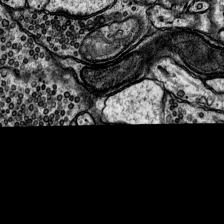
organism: Rat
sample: Hippocampus